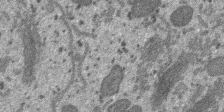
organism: Human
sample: Lung epithelial cells infected with SARS-CoV-2